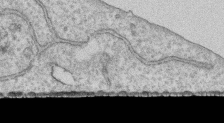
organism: Human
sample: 1205lu cells